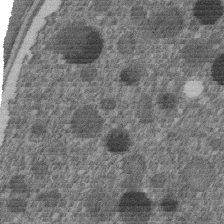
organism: C. elegans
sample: C. elegans embryo early stage